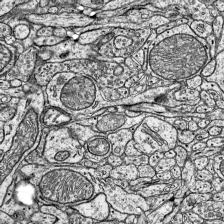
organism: Mouse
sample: Visual Cortex